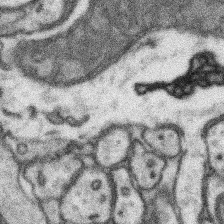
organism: Mouse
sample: Somatosensory cortex neuropil